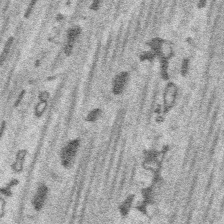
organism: Platynereis dumerilii